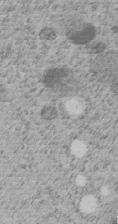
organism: C. elegans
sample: C. elegans embryo early stage